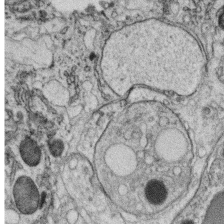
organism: C. elegans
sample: C. elegans oocyte; sperm cells